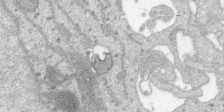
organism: Human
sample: Lung epithelial cells infected with SARS-CoV-2